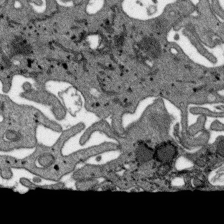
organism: Human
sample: Lung epithelial cells, uninfected (mock) control